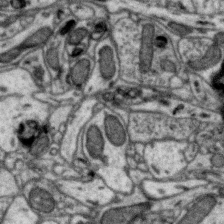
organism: Zebra finch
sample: Brain